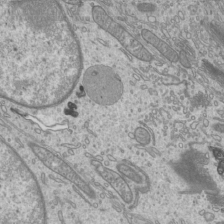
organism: Mouse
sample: Cilia; mouse epididymis